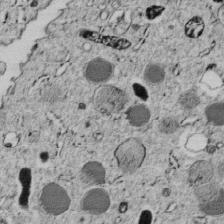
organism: C. elegans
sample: C. elegans embryo early stage